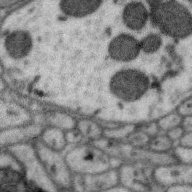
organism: Zebra finch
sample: Brain